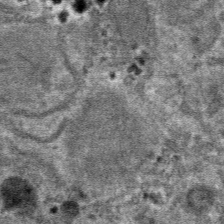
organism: Mouse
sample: Mouse hepatocytes